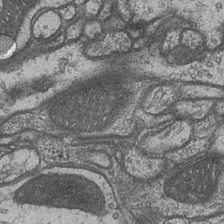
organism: Drosophila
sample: Optic medulla